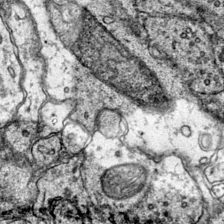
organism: Mouse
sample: Primary visual cortex